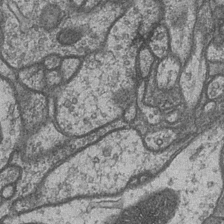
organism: Drosophila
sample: Optic medulla